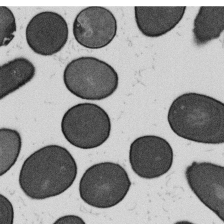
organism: B. subtilis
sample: Bacterial spore